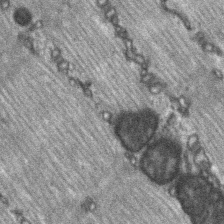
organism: C57BL Mouse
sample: Soleus